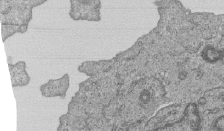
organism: Human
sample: MDA-MB-231 cells